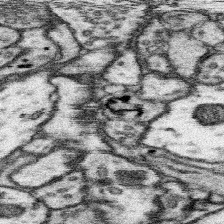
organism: Mouse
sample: Somatosensory cortex neuropil